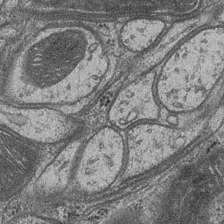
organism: Drosophila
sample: Optic medulla